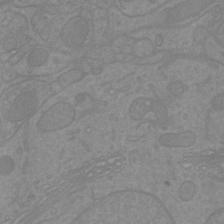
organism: Mouse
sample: Cortical neurons